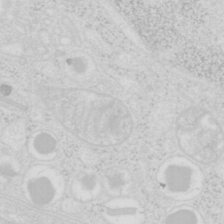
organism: Mouse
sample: Pancreas